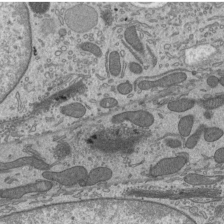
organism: Mouse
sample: Mouse epididymis efferent ductule cilia